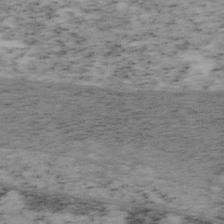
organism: Mouse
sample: OT-I killer T cells with ID8 ovarian cancer cells